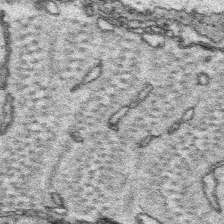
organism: Platynereis dumerilii